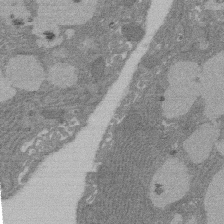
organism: Rat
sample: Salivary granule